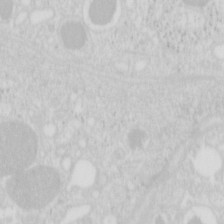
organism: Mouse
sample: Pancreas